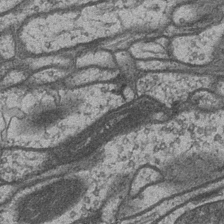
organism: Drosophila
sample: Optic medulla